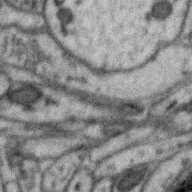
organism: Zebra finch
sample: Brain